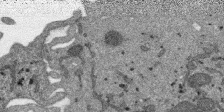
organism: Human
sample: Lung epithelial cells infected with SARS-CoV-2